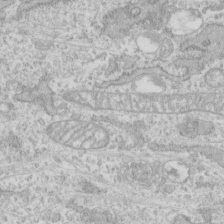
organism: Human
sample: CRL-1474